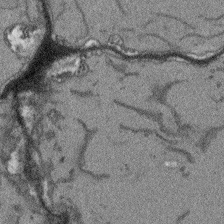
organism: Arabidopsis thaliana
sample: Root tip